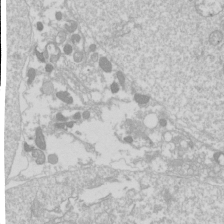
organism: Drosophila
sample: Cell division; meiosis; drosophila spermatocytes